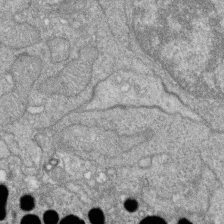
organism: Zebrafish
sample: Cilia; retinal pigment epithelium